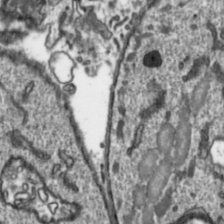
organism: Toxoplasma gondii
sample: Parasites in a vacuole inside a host cell